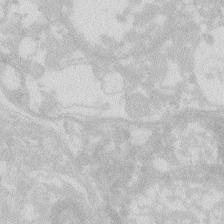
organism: Zebrafish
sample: Macrophage